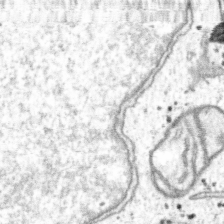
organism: Human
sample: HeLa cells